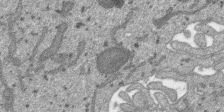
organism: Human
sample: Lung epithelial cells infected with SARS-CoV-2